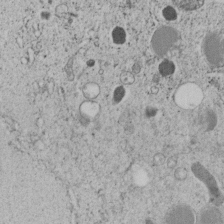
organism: C. elegans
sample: C. elegans embryo early stage